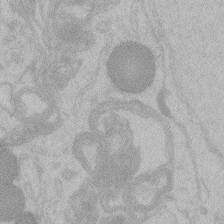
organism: Zebrafish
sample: Macrophage infected with Toxoplasma gondii